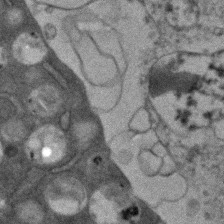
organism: Human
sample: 1205lu cells